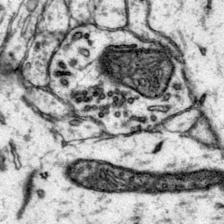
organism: Mouse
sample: Primary visual cortex